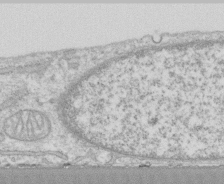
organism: Human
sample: CRL-1474